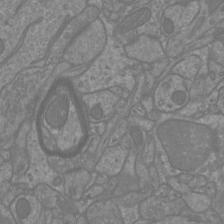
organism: Mouse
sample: Cortical neurons